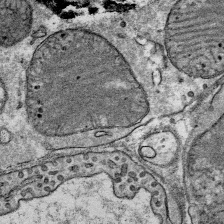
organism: Mouse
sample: Mouse Salivary gland